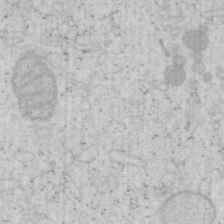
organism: Human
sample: HeLa cells